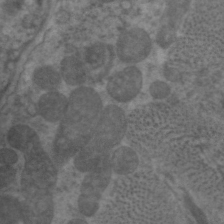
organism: C. elegans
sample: Pharynx